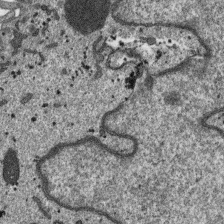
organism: Human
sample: Lung epithelial cells infected with SARS-CoV-2